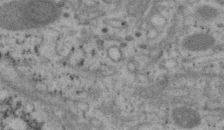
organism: Human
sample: HeLa cells